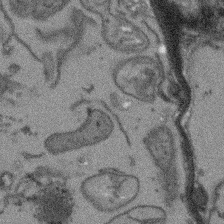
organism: Arabidopsis thaliana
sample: Root tip